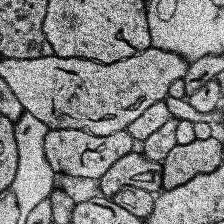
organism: Human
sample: Temporal Lobe